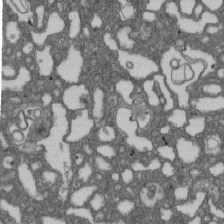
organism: Drosophila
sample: Nephrocyte